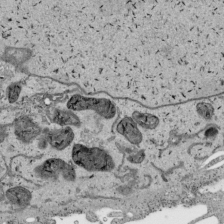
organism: Human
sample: Mitochondria in HCT116 cells